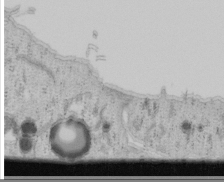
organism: Human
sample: Mitochondria in U2OS cells